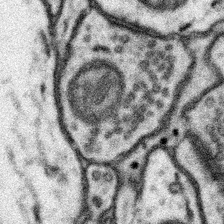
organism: Mouse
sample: Somatosensory cortex neuropil